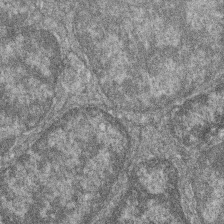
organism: Zebrafish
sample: Cilia; retinal pigment epithelium